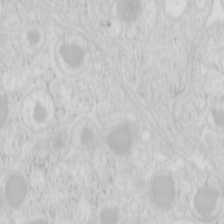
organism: Mouse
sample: Pancreas